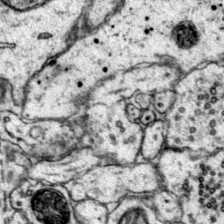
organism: Mouse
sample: Primary visual cortex